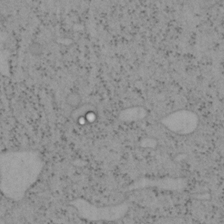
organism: Mouse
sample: OT-I killer T cells with ID8 ovarian cancer cells